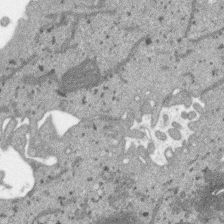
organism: Human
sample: Lung epithelial cells infected with SARS-CoV-2